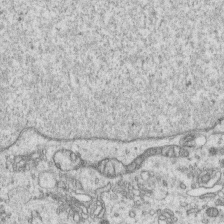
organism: Human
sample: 1205lu cells